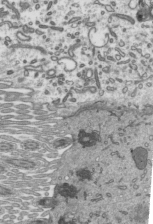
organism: Mouse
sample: Mouse epididymis efferent ductule cilia